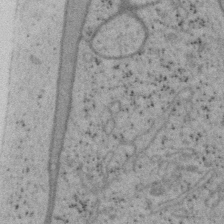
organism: Human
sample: HeLa cells